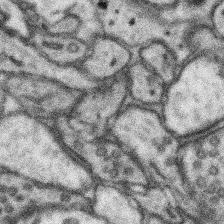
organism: Mouse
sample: Somatosensory cortex neuropil